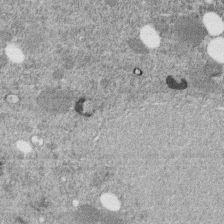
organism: C. elegans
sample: C. elegans embryo early stage